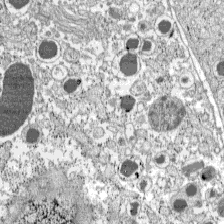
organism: C57BL Mouse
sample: Pancreatic islet